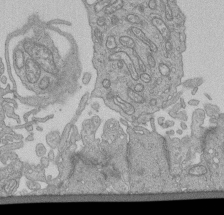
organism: Human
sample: Retinal organoid Rod and Cone cells